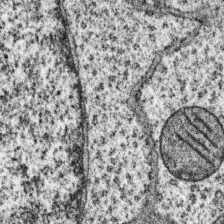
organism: Human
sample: HeLa cells